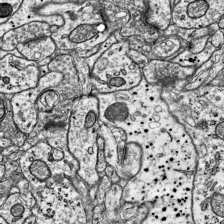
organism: Mouse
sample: Visual Cortex